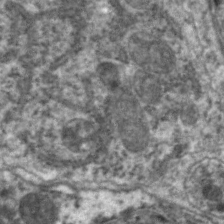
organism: C. elegans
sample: Pharynx